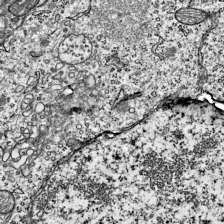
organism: Mouse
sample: Visual Cortex